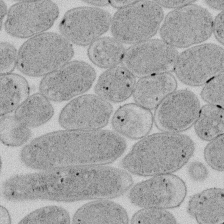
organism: E. coli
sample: Bacterial nucleoid